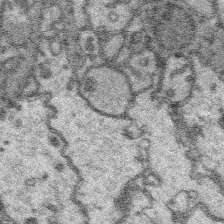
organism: Platynereis dumerilii